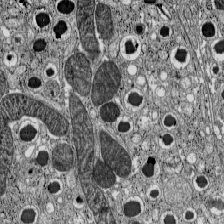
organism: C57BL Mouse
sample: Pancreatic islet